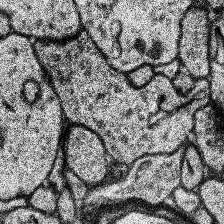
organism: Human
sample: Temporal Lobe